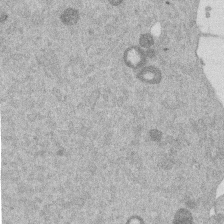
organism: Mouse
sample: Dividing mouse embryo 1 cell stage